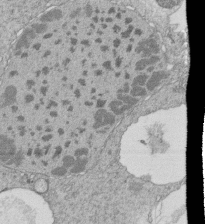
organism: Tetrahymena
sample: Cilia in tetrahymena